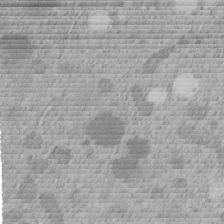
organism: C. elegans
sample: C. elegans embryo early stage